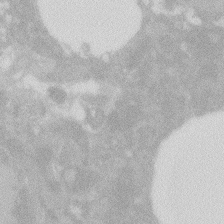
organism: Zebrafish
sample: Macrophage